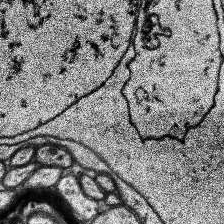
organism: Human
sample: Temporal Lobe